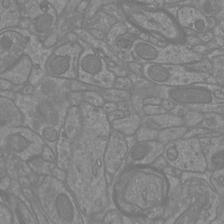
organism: Mouse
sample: Cortical neurons